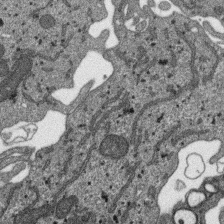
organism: Human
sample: Lung epithelial cells infected with SARS-CoV-2